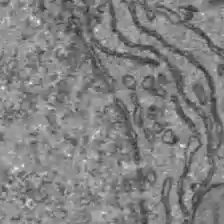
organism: C57BL Mouse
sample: Liver